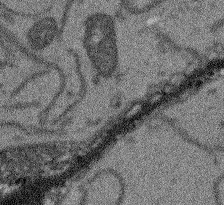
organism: Arabidopsis thaliana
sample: Root tip